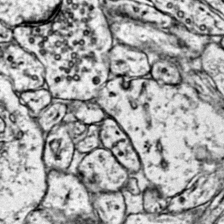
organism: Mouse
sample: Primary visual cortex